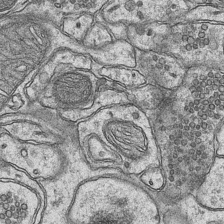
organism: Mouse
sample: CA1 Hippocampus